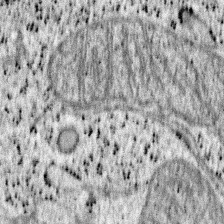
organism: Human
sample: HeLa cells